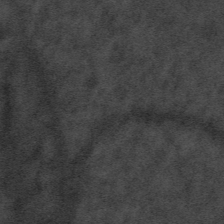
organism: Tuwongella immobilis